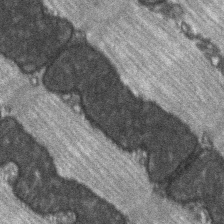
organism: C57BL Mouse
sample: Soleus